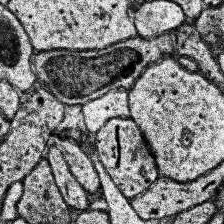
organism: Human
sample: Temporal Lobe